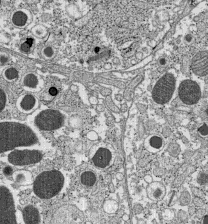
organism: C57BL Mouse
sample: Pancreatic islet